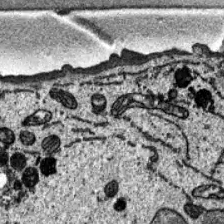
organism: Human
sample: HeLa cells